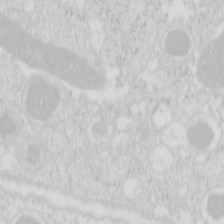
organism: Mouse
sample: Pancreas